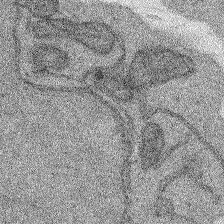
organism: Human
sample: HeLa cells